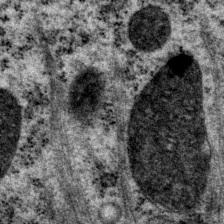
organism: P. pacificus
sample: Pharynx